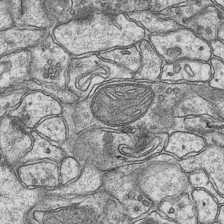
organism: Mouse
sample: CA1 Hippocampus